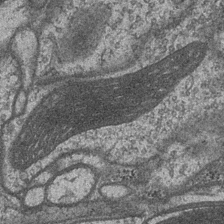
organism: Drosophila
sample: Optic medulla